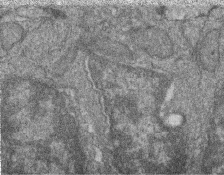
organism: Zebrafish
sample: Cilia; retinal pigment epithelium